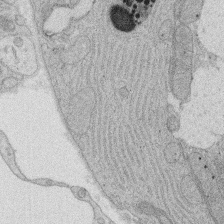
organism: Rat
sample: Salivary granule